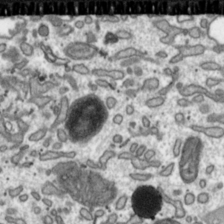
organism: Toxoplasma gondii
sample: Parasites in a vacuole inside a host cell